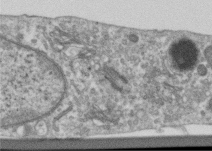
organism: Human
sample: Centriole in RPE cells